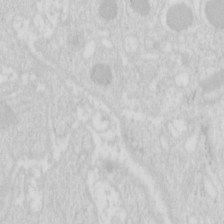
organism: Mouse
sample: Pancreas